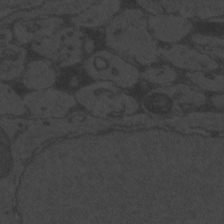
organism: Zebrafish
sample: Macrophage infected with Toxoplasma gondii